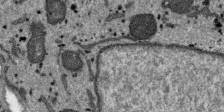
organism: Human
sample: Lung epithelial cells, uninfected (mock) control